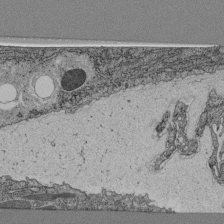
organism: C. elegans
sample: C. elegans pharynx